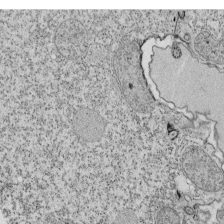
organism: Tetrahymena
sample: Cilia in tetrahymena